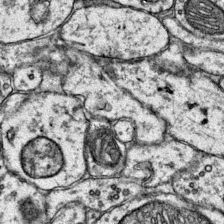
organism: Mouse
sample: Primary visual cortex